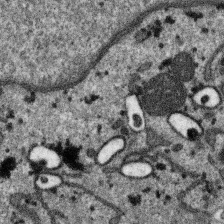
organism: Human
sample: Lung epithelial cells infected with SARS-CoV-2